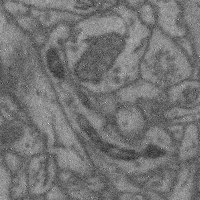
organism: Mouse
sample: Cerebral cortex